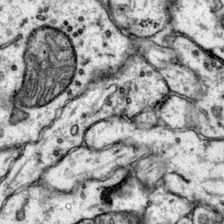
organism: Mouse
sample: Primary visual cortex